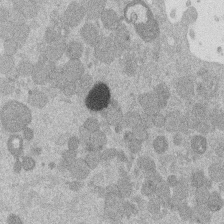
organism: Mouse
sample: Dividing mouse embryo 1 cell stage